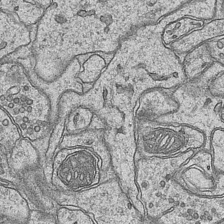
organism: Mouse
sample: CA1 Hippocampus